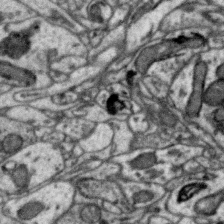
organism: Zebra finch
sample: Brain